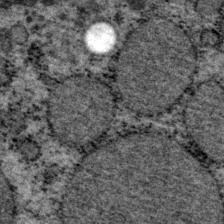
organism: P. pacificus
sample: Pharynx